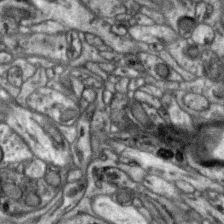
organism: Zebra finch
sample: Brain